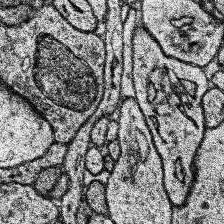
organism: Human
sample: Temporal Lobe